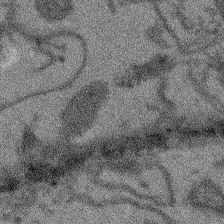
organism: Arabidopsis thaliana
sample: Root tip